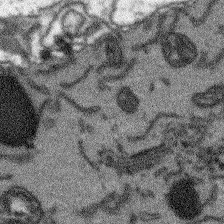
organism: Arabidopsis thaliana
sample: Root tip